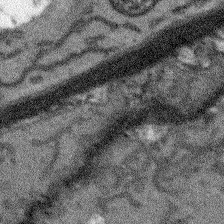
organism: Arabidopsis thaliana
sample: Root tip